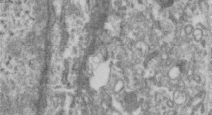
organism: Human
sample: Centriole in RPE cells